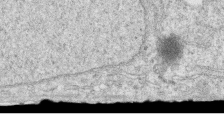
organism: Human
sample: HeLa cell HIV synapse